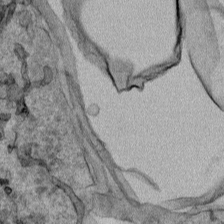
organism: Human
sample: Mitochondria in HCT116 cells